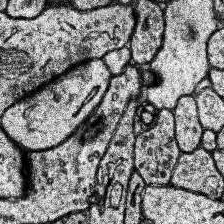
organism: Human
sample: Temporal Lobe